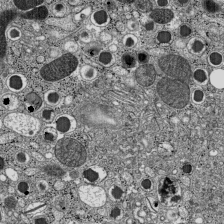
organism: C57BL Mouse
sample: Pancreatic islet